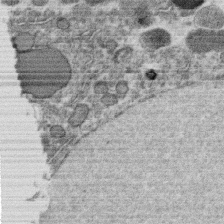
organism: C. elegans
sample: C. elegans oocyte; sperm cells